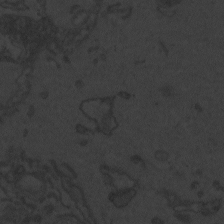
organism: Zebrafish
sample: Macrophage infected with Toxoplasma gondii